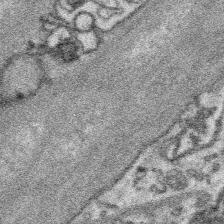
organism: Platynereis dumerilii